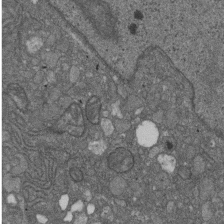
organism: Drosophila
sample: Nephrocyte